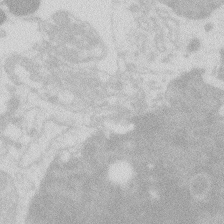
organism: Zebrafish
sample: Macrophage